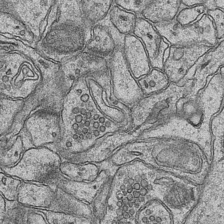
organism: Mouse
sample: CA1 Hippocampus